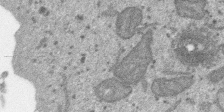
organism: Human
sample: Lung epithelial cells infected with SARS-CoV-2